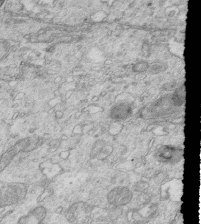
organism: Mouse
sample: Multiciliated cells